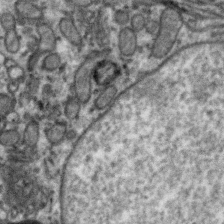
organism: Zebra finch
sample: Brain